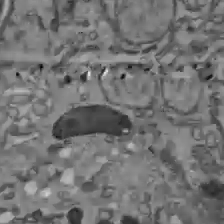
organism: C57BL Mouse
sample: Liver